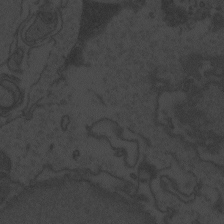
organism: Zebrafish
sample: Macrophage infected with Toxoplasma gondii